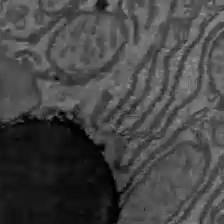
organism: C57BL Mouse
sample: Liver